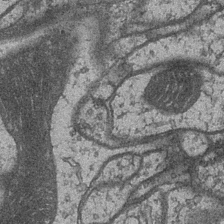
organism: Drosophila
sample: Optic medulla